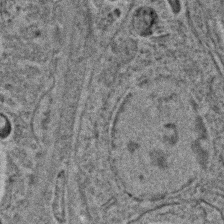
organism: C. elegans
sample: C. elegans embryo